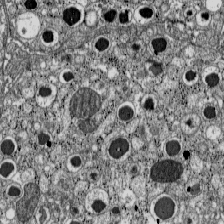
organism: C57BL Mouse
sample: Pancreatic islet